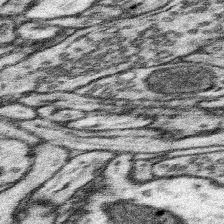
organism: Mouse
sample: Somatosensory cortex neuropil